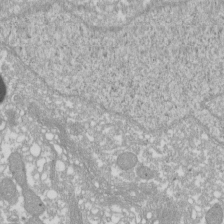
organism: Xenopus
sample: Cilia; centrioles in frog embryo cells